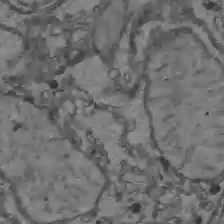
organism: C57BL Mouse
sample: Liver